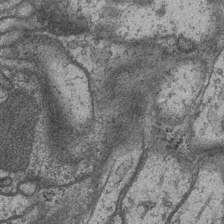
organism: Drosophila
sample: Optic medulla